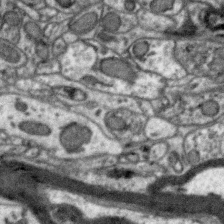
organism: Zebra finch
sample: Brain